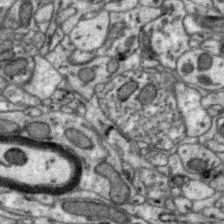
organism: Zebra finch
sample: Brain